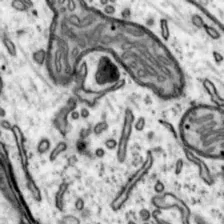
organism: Mouse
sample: Nucleus accumbens